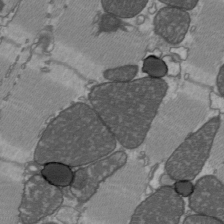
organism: C57BL Mouse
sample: Heart